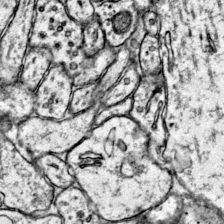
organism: Mouse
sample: Primary visual cortex